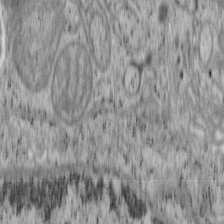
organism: Human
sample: HeLa cells